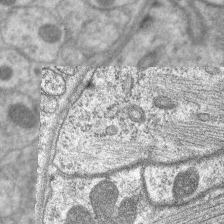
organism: C. elegans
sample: Pharynx